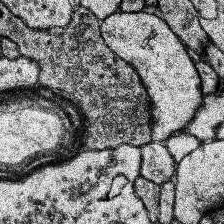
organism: Human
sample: Temporal Lobe